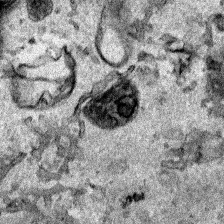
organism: Human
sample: Mitochondria in HCT116 cells